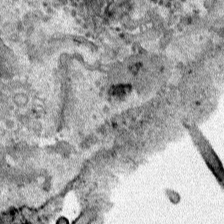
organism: Human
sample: Mitochondria in HCT116 cells